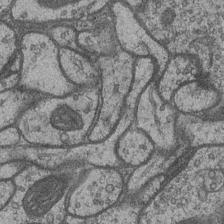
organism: Drosophila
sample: Optic medulla